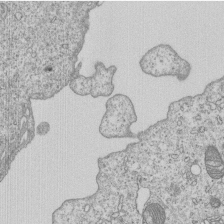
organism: Human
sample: MDA-MB-231 cells